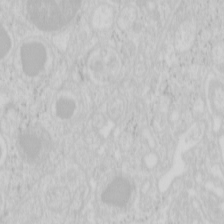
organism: Mouse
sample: Pancreas